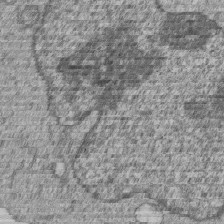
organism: Human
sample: MDA-MB-231 cells